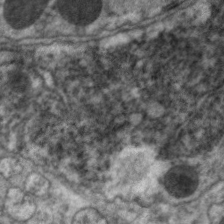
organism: C. elegans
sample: Pharynx